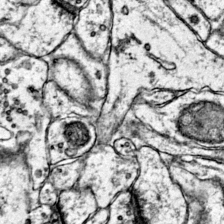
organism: Mouse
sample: Primary visual cortex